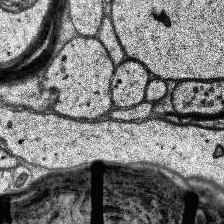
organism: Human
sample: Temporal Lobe